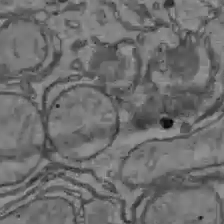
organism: C57BL Mouse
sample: Liver